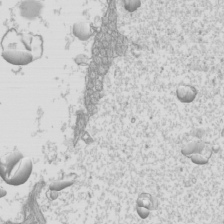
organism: Mouse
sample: Cilia; mouse epididymis